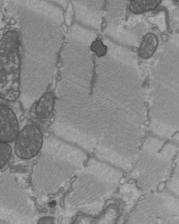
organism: C57BL Mouse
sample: Heart